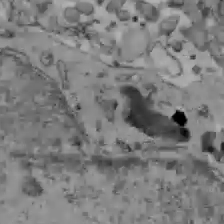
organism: C57BL Mouse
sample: Liver